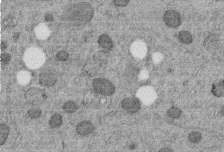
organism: C. elegans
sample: C. elegans embryo early stage